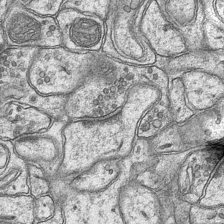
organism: Mouse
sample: CA1 Hippocampus